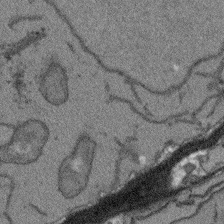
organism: Arabidopsis thaliana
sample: Root tip